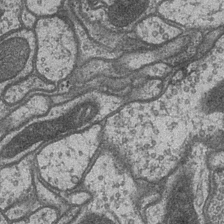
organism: Drosophila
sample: Optic medulla